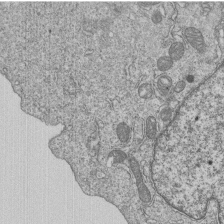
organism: Human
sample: MDA-MB-231 cells